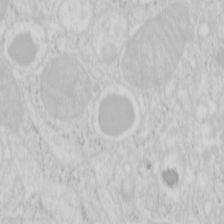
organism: Mouse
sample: Pancreas